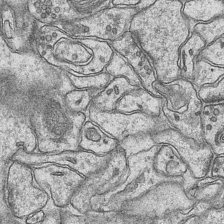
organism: Mouse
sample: CA1 Hippocampus